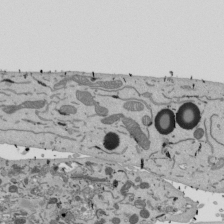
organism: Mouse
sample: ED-1 cell nuclei; centrioles